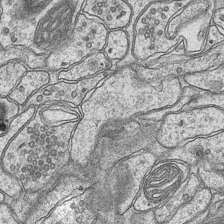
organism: Mouse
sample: CA1 Hippocampus